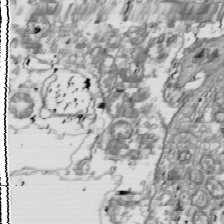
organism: Drosophila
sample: Cell division; meiosis; drosophila spermatocytes